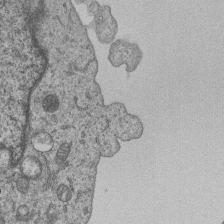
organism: Human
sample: MDA-MB-231 cells